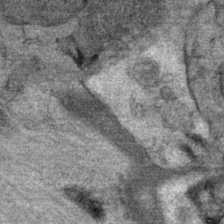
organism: Mouse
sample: Mouse Salivary gland